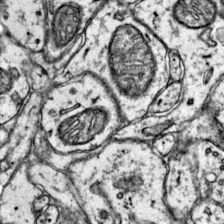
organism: Mouse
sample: Primary visual cortex